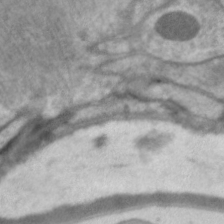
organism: C. elegans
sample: Pharynx